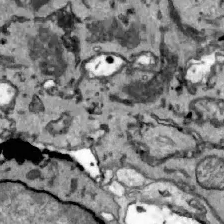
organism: Zebrafish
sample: Actinotrichia fibers